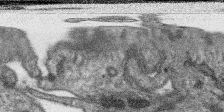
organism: Human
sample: Lung epithelial cells infected with SARS-CoV-2